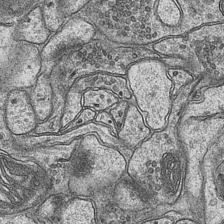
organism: Mouse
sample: CA1 Hippocampus